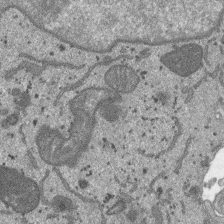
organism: Human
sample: Lung epithelial cells infected with SARS-CoV-2